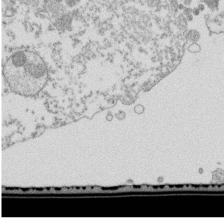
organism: Human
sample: HeLa cell HIV synapse